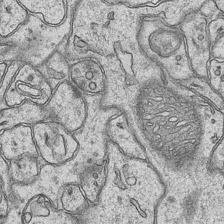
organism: Mouse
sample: CA1 Hippocampus